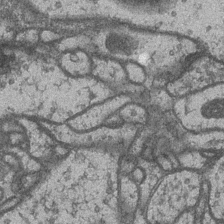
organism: Drosophila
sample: Optic medulla